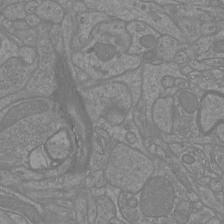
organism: Mouse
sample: Cortical neurons